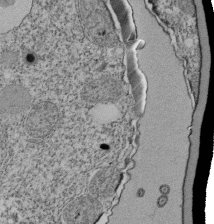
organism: Tetrahymena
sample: Cilia in tetrahymena